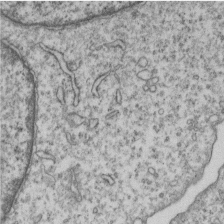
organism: Human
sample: MDA-MB-231 cells